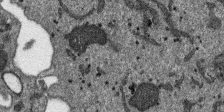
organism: Human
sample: Lung epithelial cells infected with SARS-CoV-2